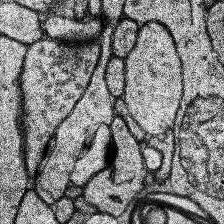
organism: Human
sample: Temporal Lobe